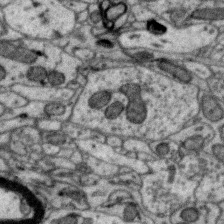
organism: Zebra finch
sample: Brain